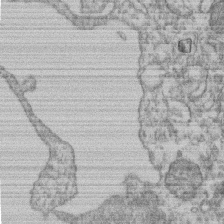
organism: Mouse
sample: T cell stromal cell synapse